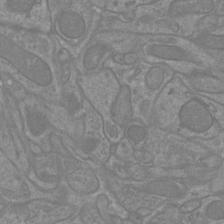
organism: Mouse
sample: Cortical neurons